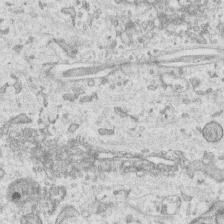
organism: Human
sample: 1205lu cells